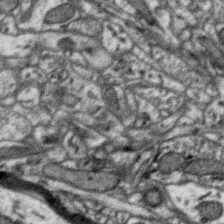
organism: Zebra finch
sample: Brain